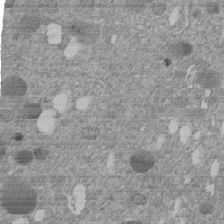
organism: C. elegans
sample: C. elegans embryo early stage